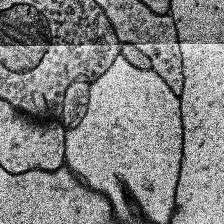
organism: Human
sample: Temporal Lobe